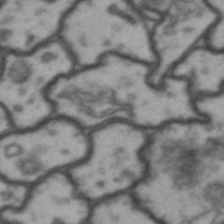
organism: Drosophila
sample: Brain